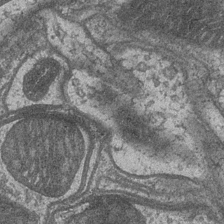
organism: Drosophila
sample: Optic medulla